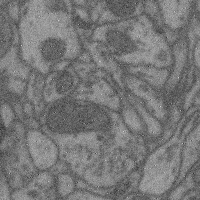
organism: Mouse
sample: Cerebral cortex